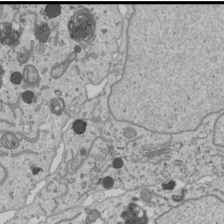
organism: Human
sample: Mitochondria in U2OS cells